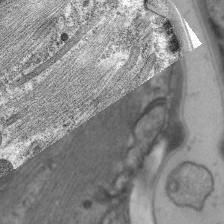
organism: C. elegans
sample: Pharynx